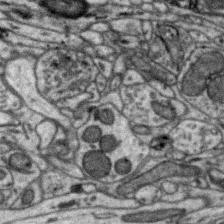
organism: Zebra finch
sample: Brain